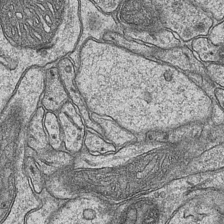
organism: Mouse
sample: CA1 Hippocampus